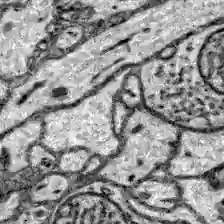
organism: Zebrafish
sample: Brain